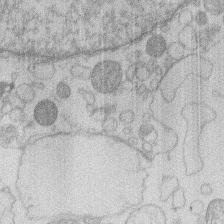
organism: Human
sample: Macrophage cells